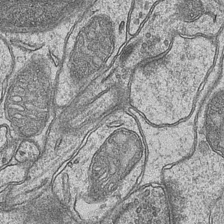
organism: Mouse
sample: CA1 Hippocampus